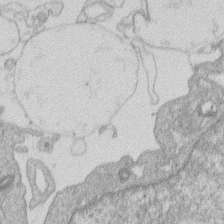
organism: Human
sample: Macrophage cells